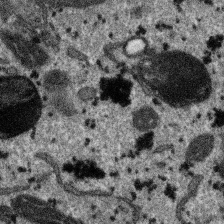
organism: Human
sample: Lung epithelial cells infected with SARS-CoV-2